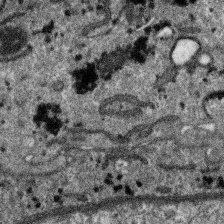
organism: Human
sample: Lung epithelial cells infected with SARS-CoV-2